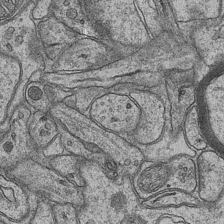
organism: Mouse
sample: CA1 Hippocampus